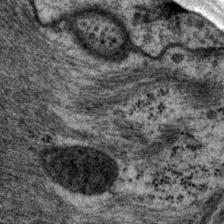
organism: P. pacificus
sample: Pharynx